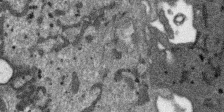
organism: Human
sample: Lung epithelial cells infected with SARS-CoV-2